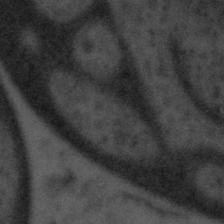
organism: Tuwongella immobilis